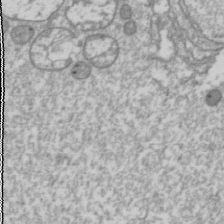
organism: Drosophila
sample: Cell division; meiosis; drosophila spermatocytes